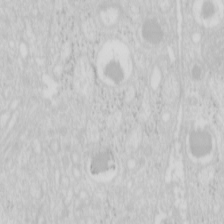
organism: Mouse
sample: Pancreas